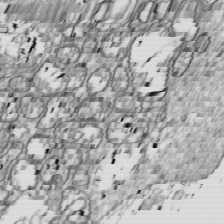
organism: Drosophila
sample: Cell division; meiosis; drosophila spermatocytes